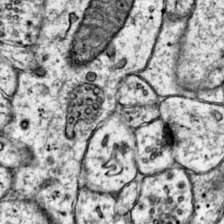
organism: Mouse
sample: Primary visual cortex